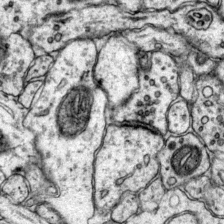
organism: Mouse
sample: Primary visual cortex